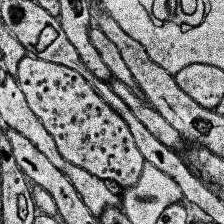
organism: Human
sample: Temporal Lobe